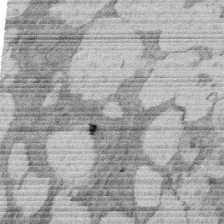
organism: Rat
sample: Salivary granule